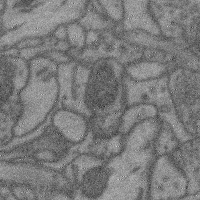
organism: Mouse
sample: Cerebral cortex